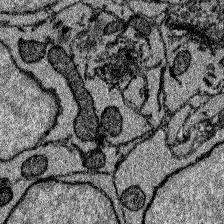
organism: Zebrafish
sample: Larval olfactory bulb